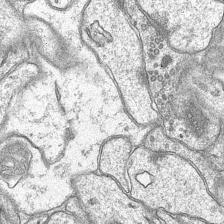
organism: Mouse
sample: CA1 Hippocampus